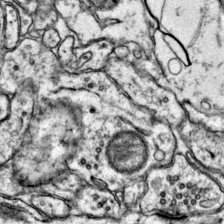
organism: Mouse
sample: Primary visual cortex